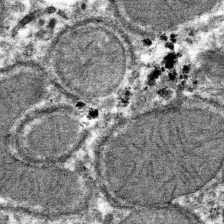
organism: Mouse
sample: Mouse hepatocytes